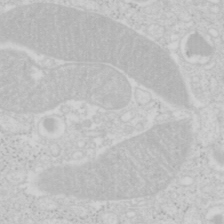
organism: Mouse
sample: Pancreas